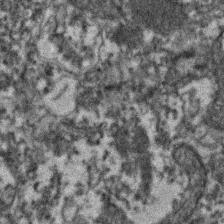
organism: Zebrafish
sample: Zebrafish embryo